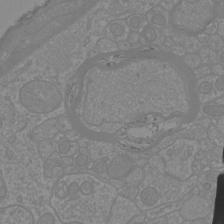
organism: Mouse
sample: Cortical neurons